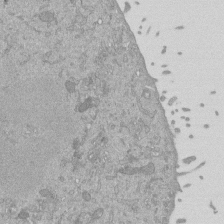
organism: Mouse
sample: ED-1 cell nuclei; centrioles